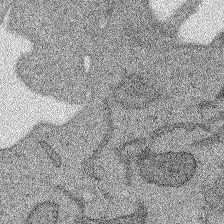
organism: Human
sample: HeLa cells